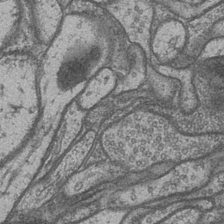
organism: Drosophila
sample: Optic medulla